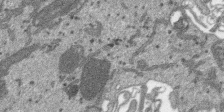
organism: Human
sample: Lung epithelial cells infected with SARS-CoV-2